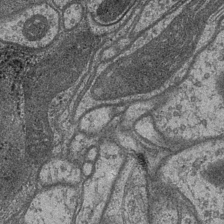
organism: Drosophila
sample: Optic medulla